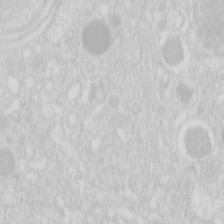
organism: Mouse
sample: Pancreas